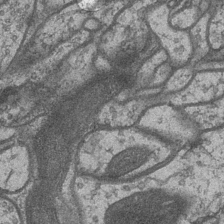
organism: Drosophila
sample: Optic medulla